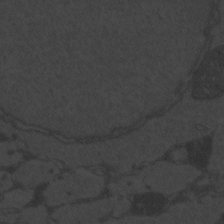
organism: Zebrafish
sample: Macrophage infected with Toxoplasma gondii